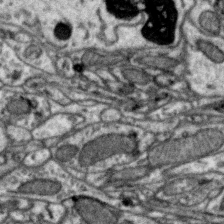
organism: Zebra finch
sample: Brain